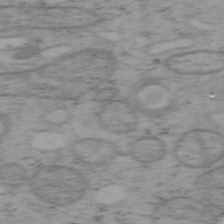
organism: Mouse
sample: OT-I killer T cells with ID8 ovarian cancer cells